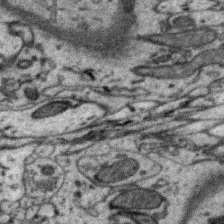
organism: Zebra finch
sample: Brain